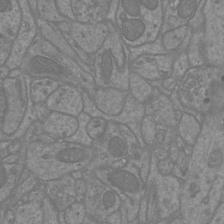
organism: Mouse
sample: Cortical neurons